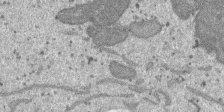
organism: Human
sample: Lung epithelial cells infected with SARS-CoV-2